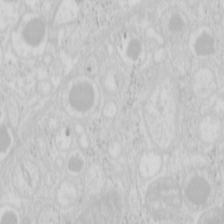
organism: Mouse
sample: Pancreas